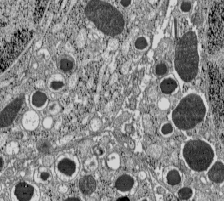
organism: C57BL Mouse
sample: Pancreatic islet